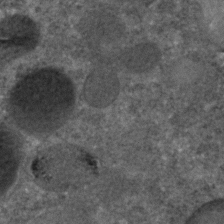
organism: C. elegans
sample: C. elegans embryo